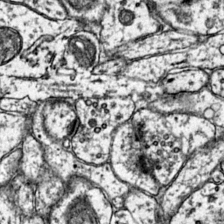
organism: Mouse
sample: Primary visual cortex